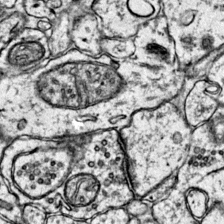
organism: Mouse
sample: Primary visual cortex